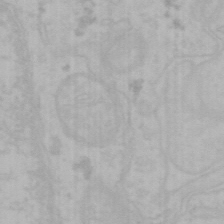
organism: Mouse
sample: Choroid plexus